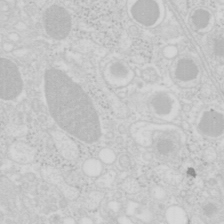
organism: Mouse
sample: Pancreas